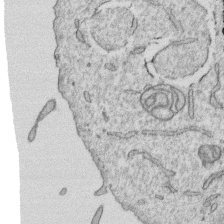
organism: Human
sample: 1205lu cells